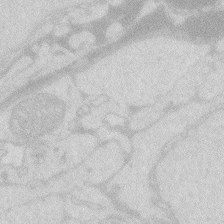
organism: Zebrafish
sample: Macrophage